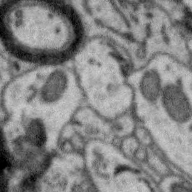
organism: Zebra finch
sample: Brain